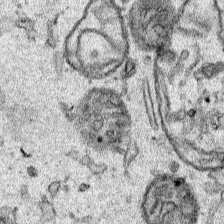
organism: Human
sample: Mitochondria in HCT116 cells